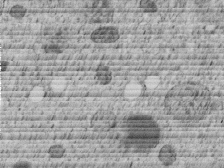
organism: C. elegans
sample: C. elegans embryo early stage